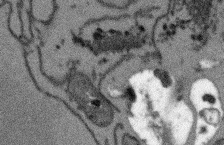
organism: Arabidopsis thaliana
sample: Root tip